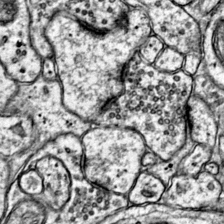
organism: Mouse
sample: Primary visual cortex